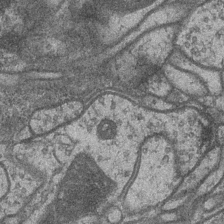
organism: Drosophila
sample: Optic medulla